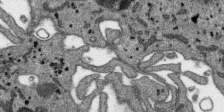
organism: Human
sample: Lung epithelial cells, uninfected (mock) control